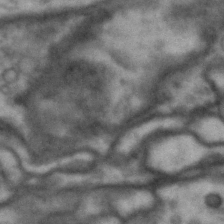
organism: Drosophila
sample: Brain